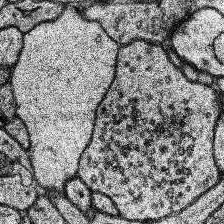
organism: Human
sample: Temporal Lobe